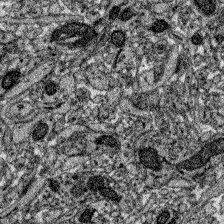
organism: Zebrafish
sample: Larval olfactory bulb